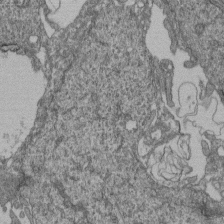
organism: Human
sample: Retinal organoid Rod and Cone cells